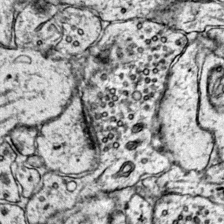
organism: Mouse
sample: Primary visual cortex